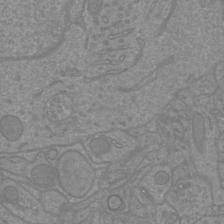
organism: Mouse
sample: Cortical neurons